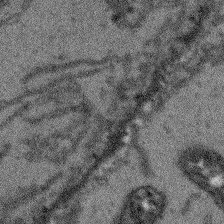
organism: Arabidopsis thaliana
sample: Root tip